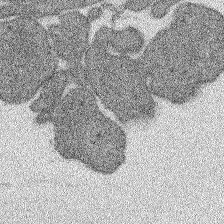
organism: Human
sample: HeLa cells